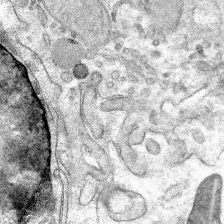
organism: Mouse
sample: Mouse hepatocytes